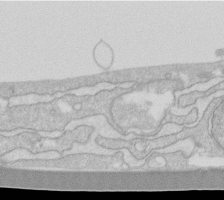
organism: Human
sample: Fibroblast cells